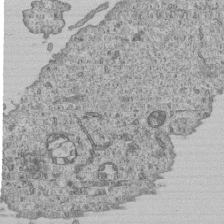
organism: Human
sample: MDA-MB-231 cells